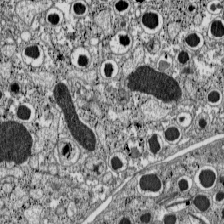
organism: C57BL Mouse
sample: Pancreatic islet